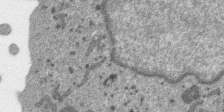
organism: Human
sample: Lung epithelial cells infected with SARS-CoV-2